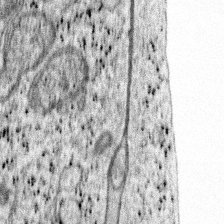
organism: Human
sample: HeLa cells